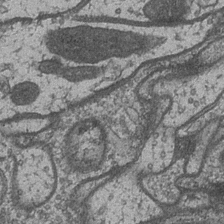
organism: Drosophila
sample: Optic medulla